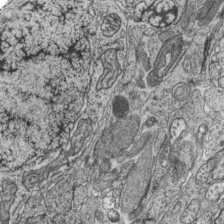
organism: Zebrafish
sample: synaptic ribbons in rod cells and cone cells